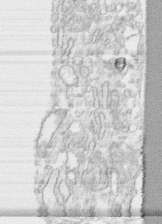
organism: Human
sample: CRL-1474